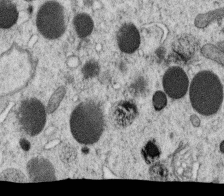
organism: C. elegans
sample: C. elegans oocyte; sperm cells